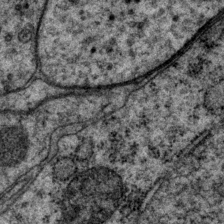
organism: P. pacificus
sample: Pharynx